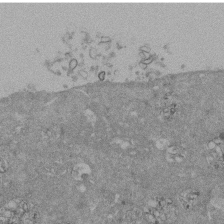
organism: Mouse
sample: ED-1 cell nuclei; centrioles